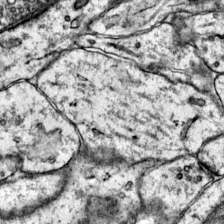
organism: Mouse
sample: Primary visual cortex